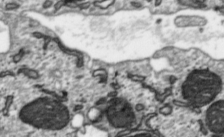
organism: Toxoplasma gondii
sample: Parasites in a vacuole inside a host cell